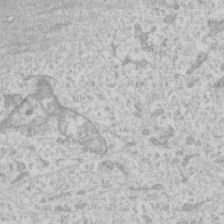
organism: Human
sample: Fibroblast cells